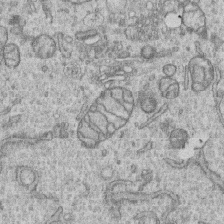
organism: Human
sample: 1205lu cells